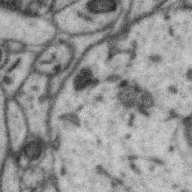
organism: Zebra finch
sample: Brain